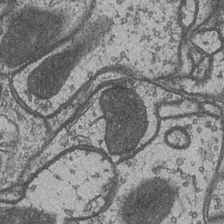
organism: Drosophila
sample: Optic medulla